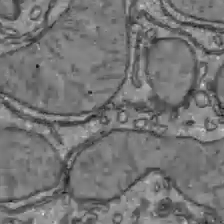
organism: C57BL Mouse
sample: Liver